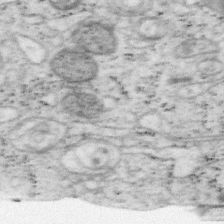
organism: Mouse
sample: OT-I killer T cells with ID8 ovarian cancer cells